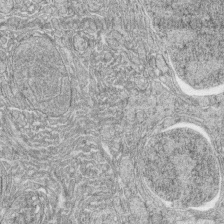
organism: Zebrafish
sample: synaptic ribbons in rod cells and cone cells